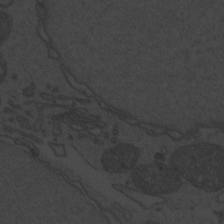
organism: Zebrafish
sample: Macrophage infected with Toxoplasma gondii